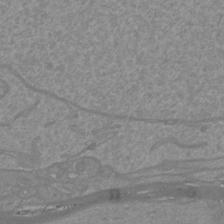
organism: Mouse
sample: Cortical neurons